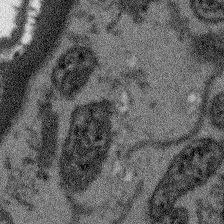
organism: Arabidopsis thaliana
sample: Root tip